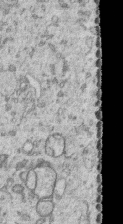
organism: Human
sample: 1205lu cells